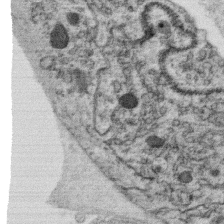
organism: C. elegans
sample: C. elegans oocyte; sperm cells